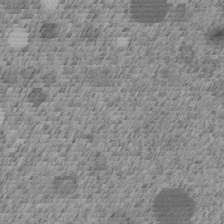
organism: C. elegans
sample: C. elegans embryo early stage